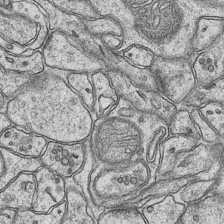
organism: Mouse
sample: CA1 Hippocampus